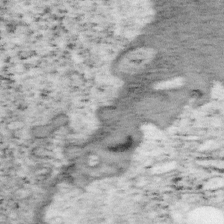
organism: Mouse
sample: OT-I killer T cells with ID8 ovarian cancer cells